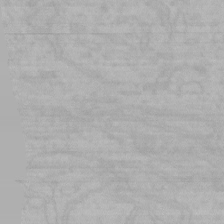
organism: Mouse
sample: Choroid plexus